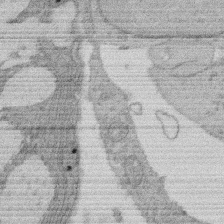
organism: Rat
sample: Salivary granule